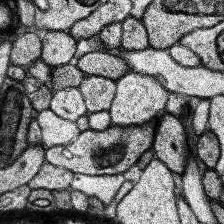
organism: Human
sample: Temporal Lobe